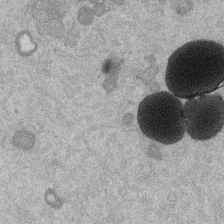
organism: Mouse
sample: Dividing mouse embryo 1 cell stage